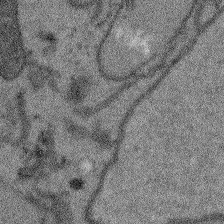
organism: Arabidopsis thaliana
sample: Root tip